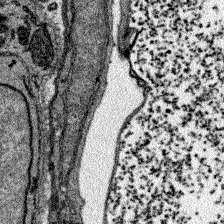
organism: Zebrafish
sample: Larval olfactory bulb